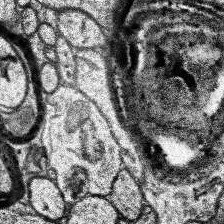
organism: Human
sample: Temporal Lobe